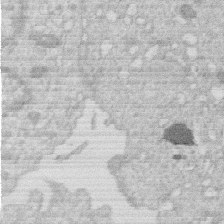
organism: Human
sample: Macrophage cells